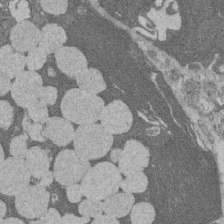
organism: Rat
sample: Salivary granule